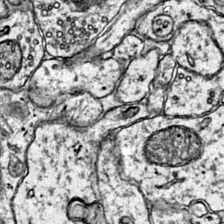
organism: Mouse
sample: Primary visual cortex